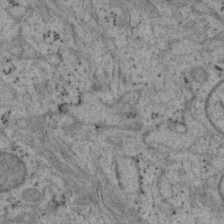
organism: Human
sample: HeLa cells